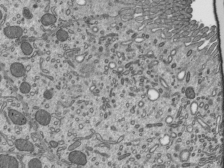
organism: Mouse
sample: Mouse epididymis efferent ductule cilia